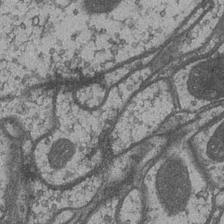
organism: Drosophila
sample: Optic medulla